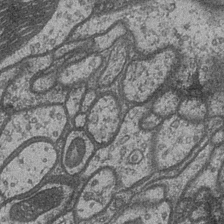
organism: Drosophila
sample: Optic medulla